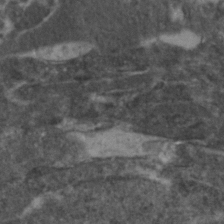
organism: Zebrafish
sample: Zebrafish embryo